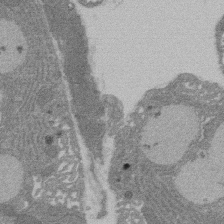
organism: Rat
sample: Salivary granule